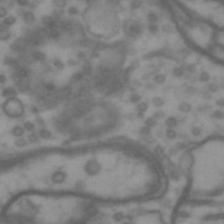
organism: Drosophila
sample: Brain